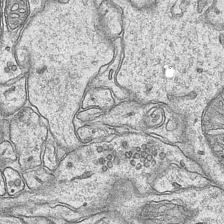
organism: Mouse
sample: CA1 Hippocampus